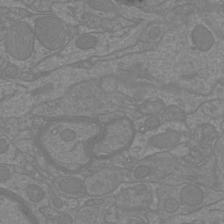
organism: Mouse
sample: Cortical neurons